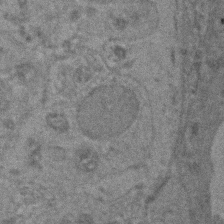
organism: Zebrafish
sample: Zebrafish embryo